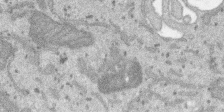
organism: Human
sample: Lung epithelial cells infected with SARS-CoV-2